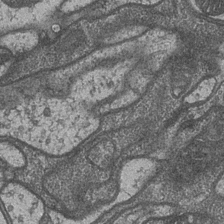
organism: Drosophila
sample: Optic medulla